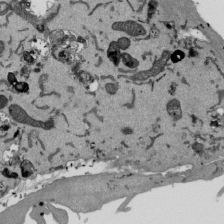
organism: Mouse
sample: ED-1 cell nuclei; centrioles